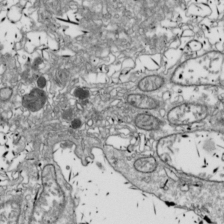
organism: Drosophila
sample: Cell division; meiosis; drosophila spermatocytes